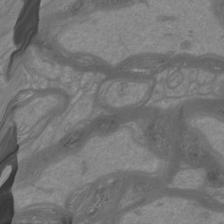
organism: Mouse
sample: Cortical neurons